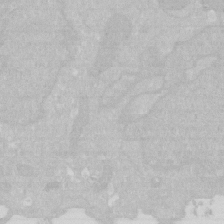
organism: Human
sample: HIV infected U937 cells